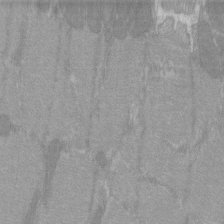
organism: C57BL Mouse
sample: Tibialis anterior muscle cell